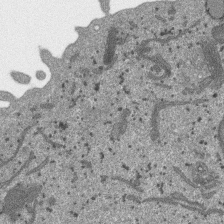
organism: Human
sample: Lung epithelial cells infected with SARS-CoV-2